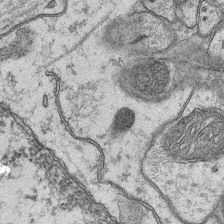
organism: Mouse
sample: CA1 Hippocampus